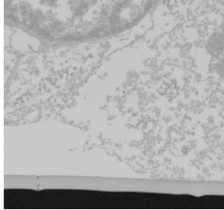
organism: Mouse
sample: Cancer cell death in ED-1 cells